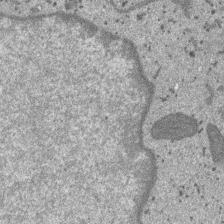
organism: Human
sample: Lung epithelial cells infected with SARS-CoV-2